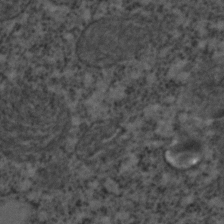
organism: C. elegans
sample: C. elegans embryo